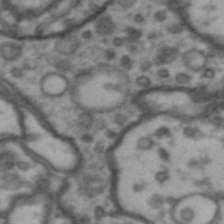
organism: Drosophila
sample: Brain